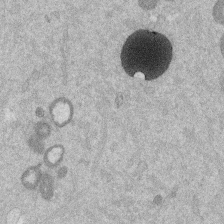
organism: Mouse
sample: Dividing mouse embryo 1 cell stage